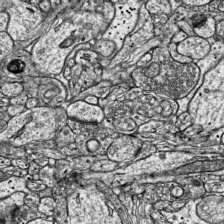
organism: Mouse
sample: Visual Cortex